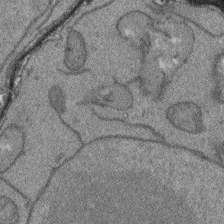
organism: Arabidopsis thaliana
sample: Root tip